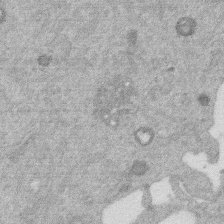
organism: Mouse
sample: Dividing mouse embryo 1 cell stage